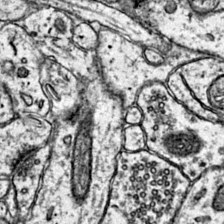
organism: Mouse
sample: Primary visual cortex